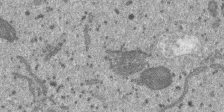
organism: Human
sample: Lung epithelial cells infected with SARS-CoV-2